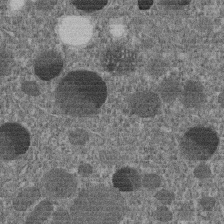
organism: C. elegans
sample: C. elegans embryo early stage